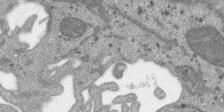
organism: Human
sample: Lung epithelial cells infected with SARS-CoV-2